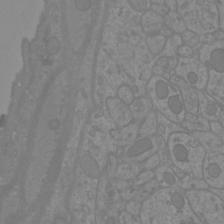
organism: Mouse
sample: Cortical neurons